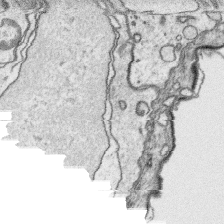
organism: Platynereis dumerilii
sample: Parapodia